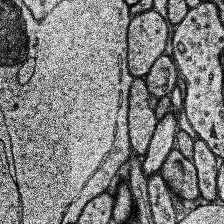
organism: Human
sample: Temporal Lobe